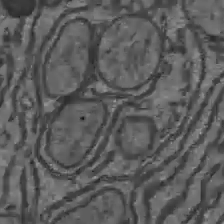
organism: C57BL Mouse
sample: Liver